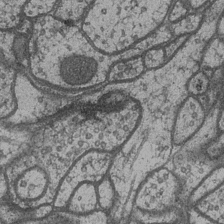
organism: Drosophila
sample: Optic medulla